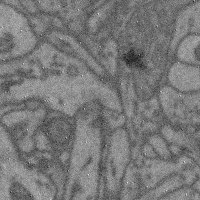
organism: Mouse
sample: Cerebral cortex